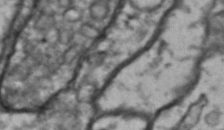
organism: Drosophila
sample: Brain